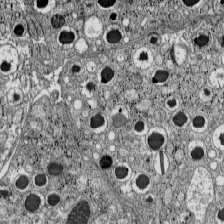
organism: C57BL Mouse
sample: Pancreatic islet